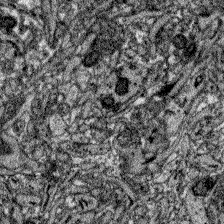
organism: Zebrafish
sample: Larval olfactory bulb